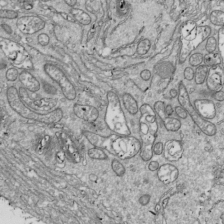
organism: Drosophila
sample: Cell division; meiosis; drosophila spermatocytes